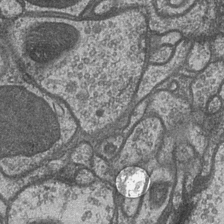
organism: Drosophila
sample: Optic medulla